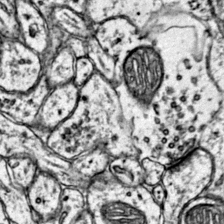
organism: Mouse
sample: Primary visual cortex